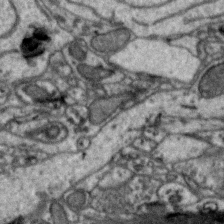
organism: Zebra finch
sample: Brain